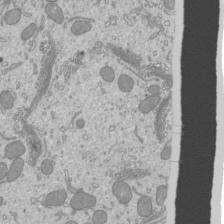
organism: Mouse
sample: Cilia; mouse epididymis